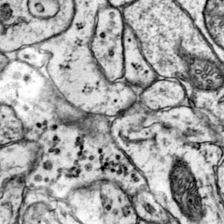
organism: Mouse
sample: Primary visual cortex